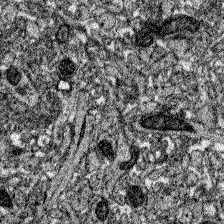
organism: Zebrafish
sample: Larval olfactory bulb